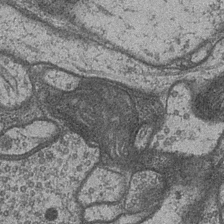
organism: Drosophila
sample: Optic medulla